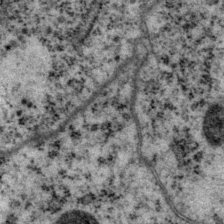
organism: P. pacificus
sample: Pharynx